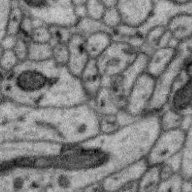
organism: Zebra finch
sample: Brain